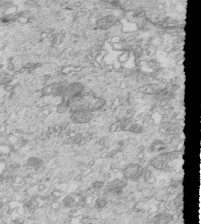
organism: Mouse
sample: Multiciliated cells